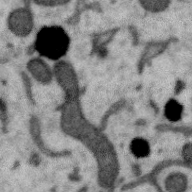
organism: Zebra finch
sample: Brain